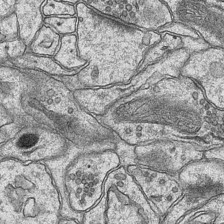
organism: Mouse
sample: CA1 Hippocampus